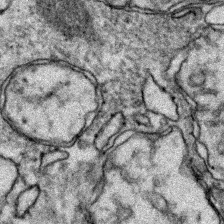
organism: Zebrafish